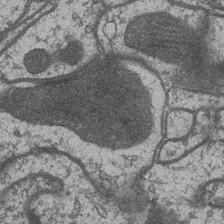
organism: Drosophila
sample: Optic medulla